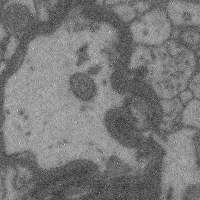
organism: Mouse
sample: Cerebral cortex